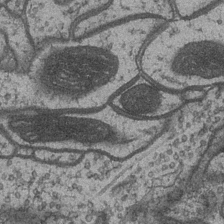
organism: Drosophila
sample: Optic medulla